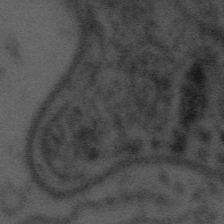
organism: Tuwongella immobilis